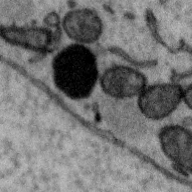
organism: Zebra finch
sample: Brain